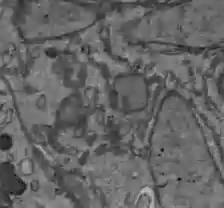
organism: C57BL Mouse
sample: Liver